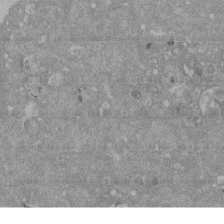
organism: Mouse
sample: ED-1 cell nuclei; centrioles